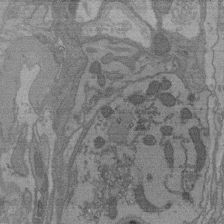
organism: C. elegans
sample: AFD neurons C. elegans